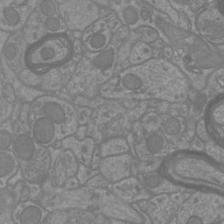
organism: Mouse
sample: Cortical neurons